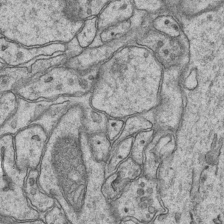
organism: Mouse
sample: CA1 Hippocampus